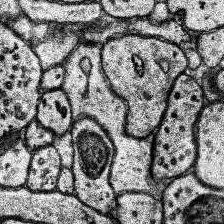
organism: Human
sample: Temporal Lobe